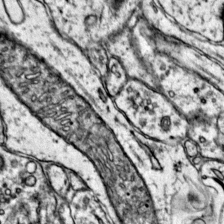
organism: Mouse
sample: Primary visual cortex